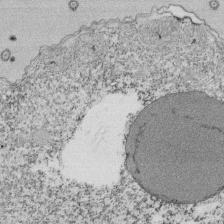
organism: Tetrahymena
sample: Cilia in tetrahymena